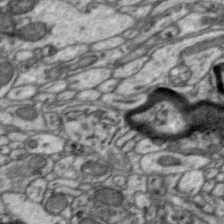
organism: Zebra finch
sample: Brain